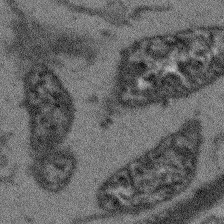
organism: Arabidopsis thaliana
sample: Root tip